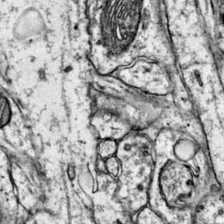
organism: Mouse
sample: Primary visual cortex